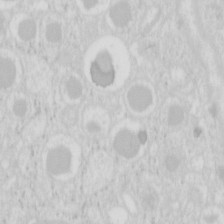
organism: Mouse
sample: Pancreas